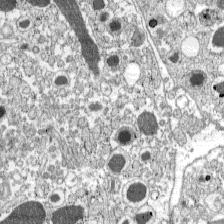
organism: C57BL Mouse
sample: Pancreatic islet